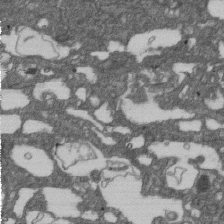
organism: Drosophila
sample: Nephrocyte